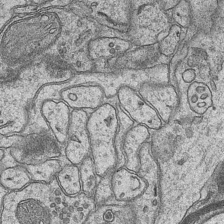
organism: Mouse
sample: CA1 Hippocampus